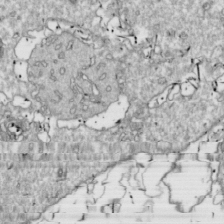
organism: Drosophila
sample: Cell division; meiosis; drosophila spermatocytes